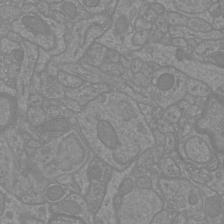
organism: Mouse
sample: Cortical neurons